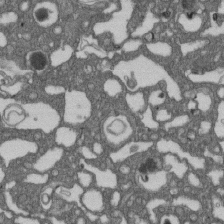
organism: Drosophila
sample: Nephrocyte